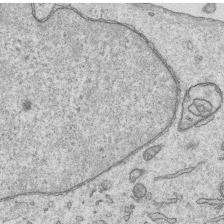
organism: Human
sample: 1205lu cells